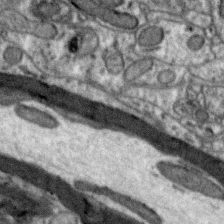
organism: Zebra finch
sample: Brain